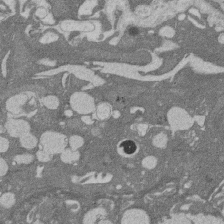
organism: Rat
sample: Salivary granule